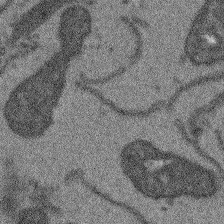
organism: Arabidopsis thaliana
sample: Root tip